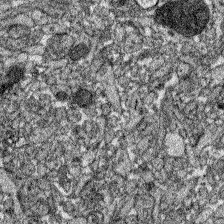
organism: Zebrafish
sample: Larval olfactory bulb